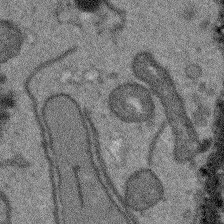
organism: Arabidopsis thaliana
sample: Root tip